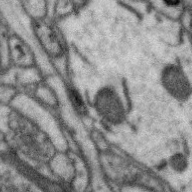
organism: Zebra finch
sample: Brain